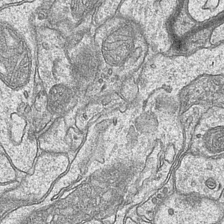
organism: Mouse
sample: CA1 Hippocampus